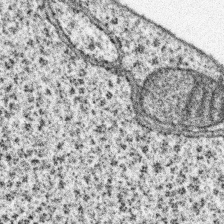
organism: Human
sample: HeLa cells